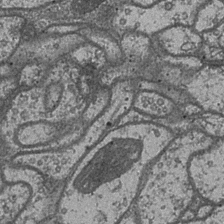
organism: Drosophila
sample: Optic medulla